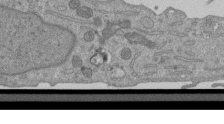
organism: Mouse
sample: ED-1 cell nuclei; centrioles